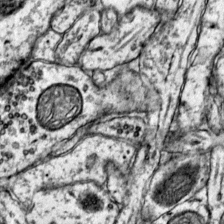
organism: Mouse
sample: Primary visual cortex